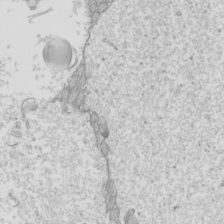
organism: Mouse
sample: Cilia; mouse epididymis